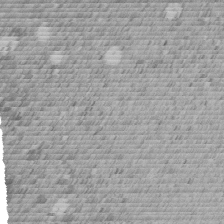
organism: C. elegans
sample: C. elegans embryo early stage